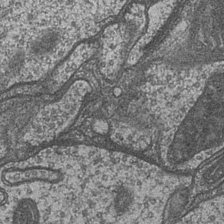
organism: Drosophila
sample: Optic medulla